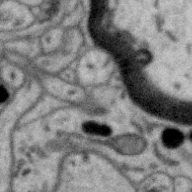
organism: Zebra finch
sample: Brain